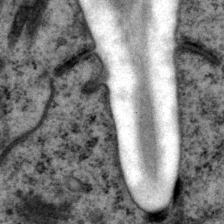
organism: P. pacificus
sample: Pharynx